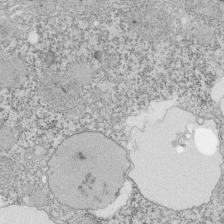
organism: Tetrahymena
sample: Cilia in tetrahymena